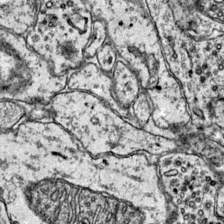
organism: Mouse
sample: Primary visual cortex